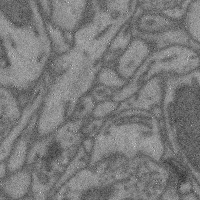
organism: Mouse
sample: Cerebral cortex